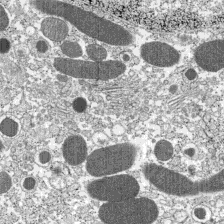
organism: C57BL Mouse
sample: Pancreatic islet